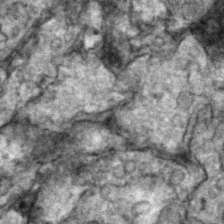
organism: Zebrafish